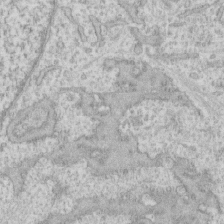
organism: Human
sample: CRL-1474